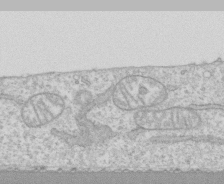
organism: Human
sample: CRL-1474